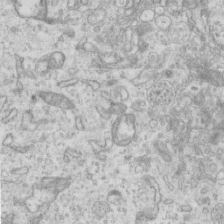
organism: Mouse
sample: Centriole in ependymal cells